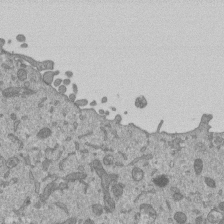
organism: Mouse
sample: ED-1 cell nuclei; centrioles